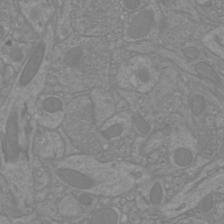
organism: Mouse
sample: Cortical neurons